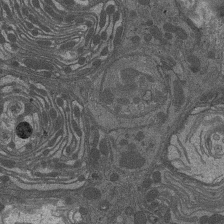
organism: Drosophila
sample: Antenna